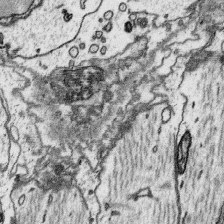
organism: Platynereis dumerilii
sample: Parapodia